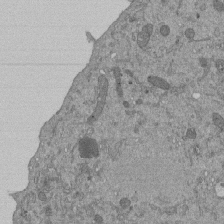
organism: Mouse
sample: ED-1 cell nuclei; centrioles